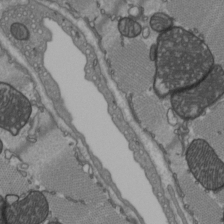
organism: C57BL Mouse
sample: Heart